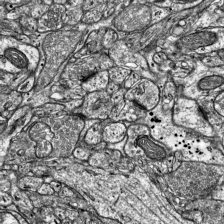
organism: Mouse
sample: Visual Cortex